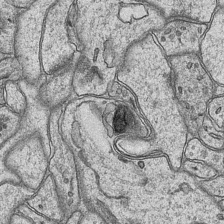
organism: Mouse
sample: CA1 Hippocampus